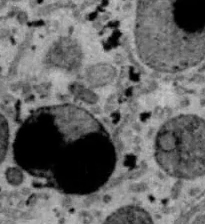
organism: Mouse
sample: Liver from an obese (ob/ob) mouse